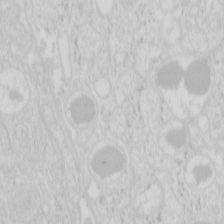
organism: Mouse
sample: Pancreas